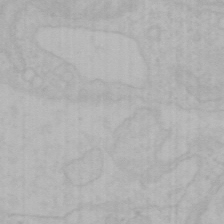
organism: Mouse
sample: Choroid plexus